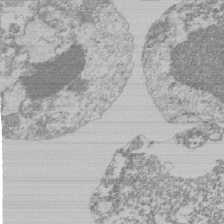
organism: Mouse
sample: Activated Pmel transgenic CD8+ T Cells